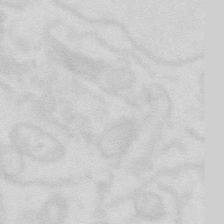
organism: Human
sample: HeLa cells